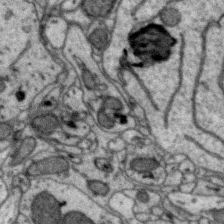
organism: Zebra finch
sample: Brain